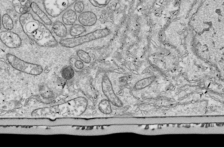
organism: Drosophila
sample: Cell division; meiosis; drosophila spermatocytes